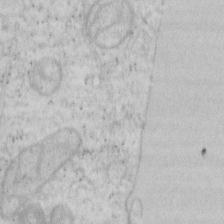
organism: Human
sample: HeLa cells